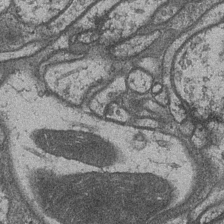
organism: Drosophila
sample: Optic medulla